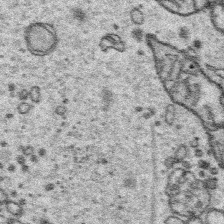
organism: Platynereis dumerilii